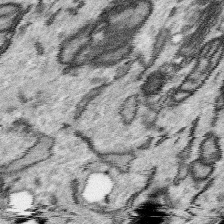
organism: Human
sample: HeLa cells